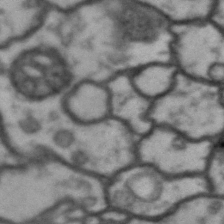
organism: Drosophila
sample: Brain